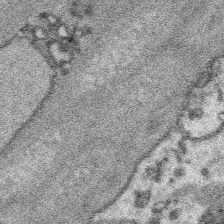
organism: Platynereis dumerilii